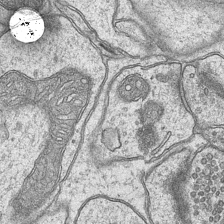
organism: Mouse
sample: CA1 Hippocampus